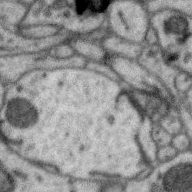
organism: Zebra finch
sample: Brain